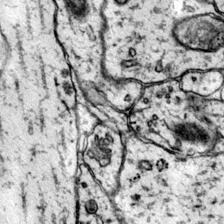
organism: Mouse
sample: Primary visual cortex